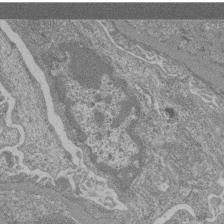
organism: Mouse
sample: Glomerulus